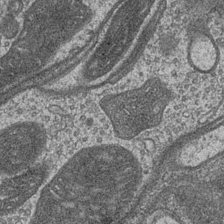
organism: Drosophila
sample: Optic medulla